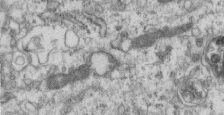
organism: Mouse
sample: Centriole in ependymal cells